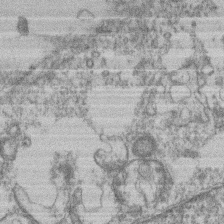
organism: Mouse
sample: T cell stromal cell synapse